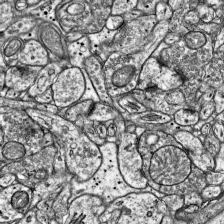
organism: Mouse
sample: Visual Cortex